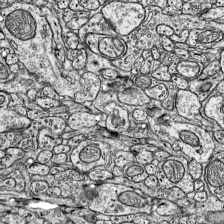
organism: Mouse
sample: Visual Cortex